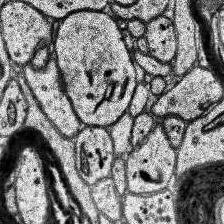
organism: Human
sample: Temporal Lobe